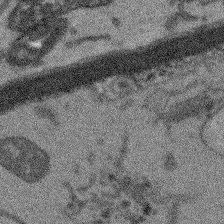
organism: Arabidopsis thaliana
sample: Root tip